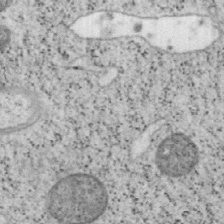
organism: Mouse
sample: OT-I killer T cells with ID8 ovarian cancer cells